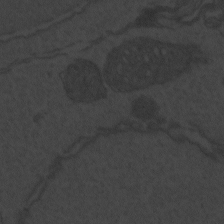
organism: Zebrafish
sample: Macrophage infected with Toxoplasma gondii